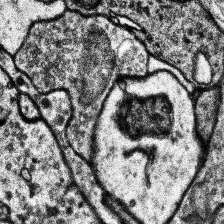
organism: Human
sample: Temporal Lobe